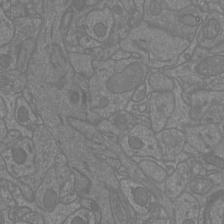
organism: Mouse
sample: Cortical neurons